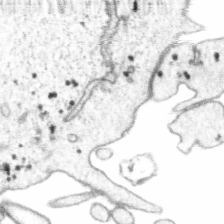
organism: Human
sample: HeLa cells